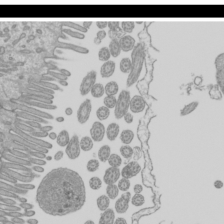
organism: Mouse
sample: Cilia; mouse epididymis